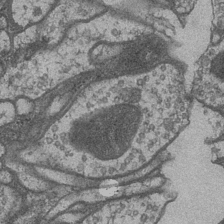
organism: Drosophila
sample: Optic medulla